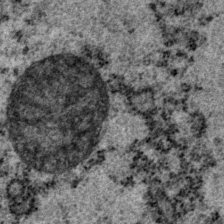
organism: P. pacificus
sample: Pharynx